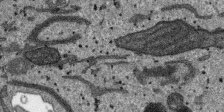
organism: Human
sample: Lung epithelial cells, uninfected (mock) control